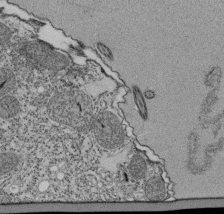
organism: Tetrahymena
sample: Cilia in tetrahymena